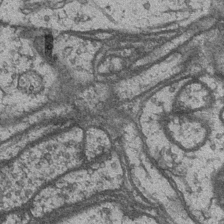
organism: Drosophila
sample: Optic medulla